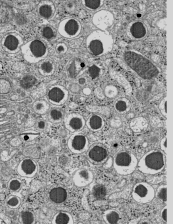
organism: C57BL Mouse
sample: Pancreatic islet